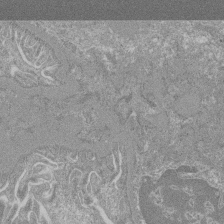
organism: Mouse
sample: Glomerulus